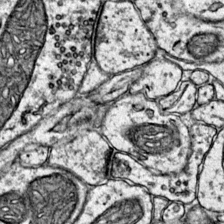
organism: Mouse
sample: Primary visual cortex